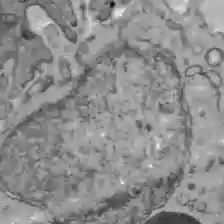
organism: C57BL Mouse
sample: Liver